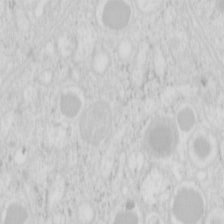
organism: Mouse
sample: Pancreas